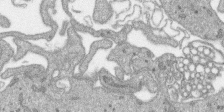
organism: Human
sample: Lung epithelial cells infected with SARS-CoV-2